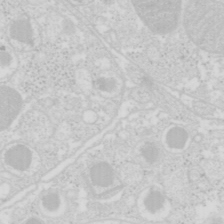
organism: Mouse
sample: Pancreas